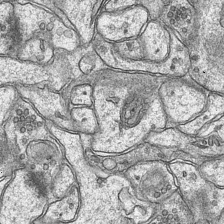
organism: Mouse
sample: CA1 Hippocampus